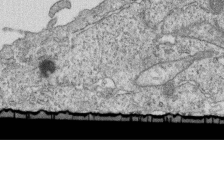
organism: Human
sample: HeLa cell HIV synapse